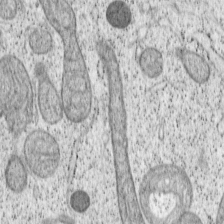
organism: African green monkey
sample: COS-7 cells